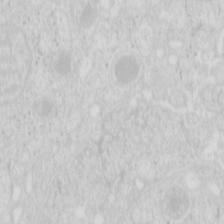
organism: Mouse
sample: Pancreas